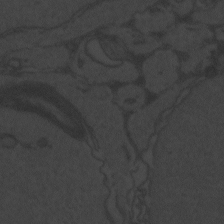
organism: Zebrafish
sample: Macrophage infected with Toxoplasma gondii